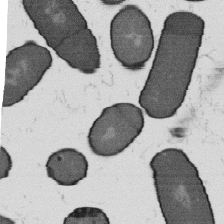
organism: B. subtilis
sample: Bacterial spore